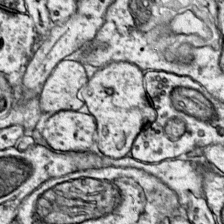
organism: Mouse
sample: Primary visual cortex